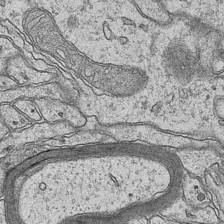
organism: Mouse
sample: CA1 Hippocampus